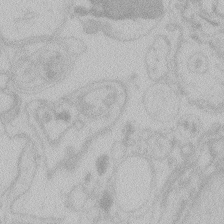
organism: Zebrafish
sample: Macrophage infected with Toxoplasma gondii